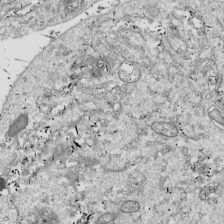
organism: Drosophila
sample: Cell division; meiosis; drosophila spermatocytes